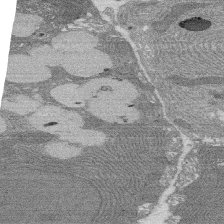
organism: Rat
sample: Salivary granule